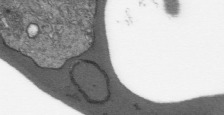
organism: Plasmodium falciparum